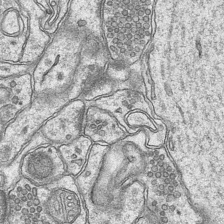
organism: Mouse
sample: CA1 Hippocampus